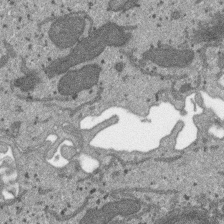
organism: Human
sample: Lung epithelial cells infected with SARS-CoV-2